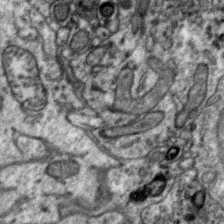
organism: Zebra finch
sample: Brain